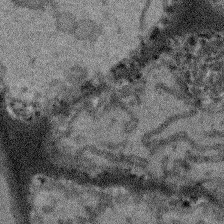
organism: Arabidopsis thaliana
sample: Root tip